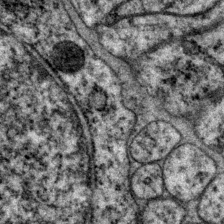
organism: P. pacificus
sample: Pharynx